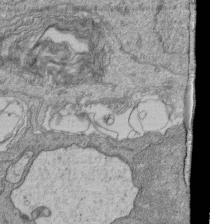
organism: Human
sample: Retinal organoid Rod and Cone cells